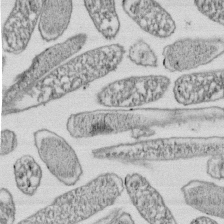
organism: E. coli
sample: Bacterial nucleoid